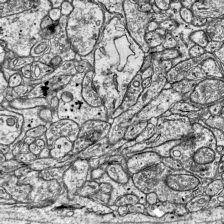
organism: Mouse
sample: Visual Cortex